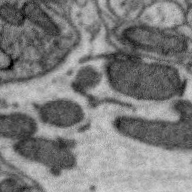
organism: Zebra finch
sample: Brain